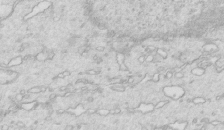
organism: Mouse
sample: Multiciliated cells